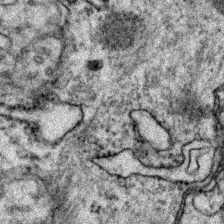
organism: Zebrafish